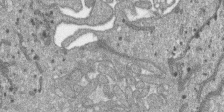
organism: Human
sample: Lung epithelial cells infected with SARS-CoV-2